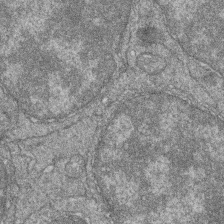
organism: Zebrafish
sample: Cilia; retinal pigment epithelium